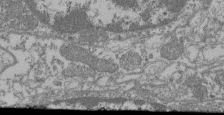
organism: Mouse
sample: Glomerulus